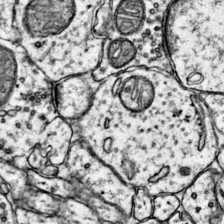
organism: Mouse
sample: Primary visual cortex